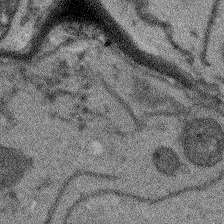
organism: Arabidopsis thaliana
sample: Root tip